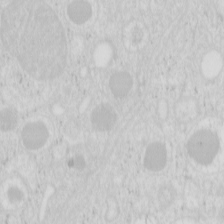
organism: Mouse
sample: Pancreas